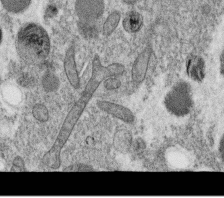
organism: C. elegans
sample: C. elegans oocyte; sperm cells